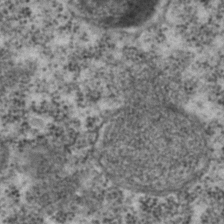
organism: C. elegans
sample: C. elegans embryo